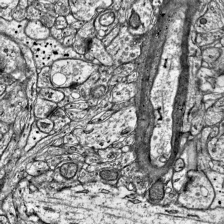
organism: Mouse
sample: Visual Cortex